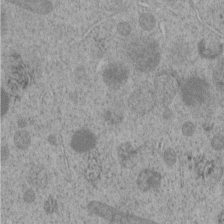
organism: C. elegans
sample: C. elegans embryo early stage